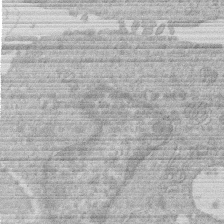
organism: Human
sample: Macrophage cells